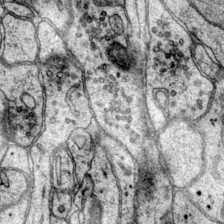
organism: Mouse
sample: Primary visual cortex